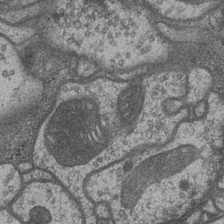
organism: Drosophila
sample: Optic medulla